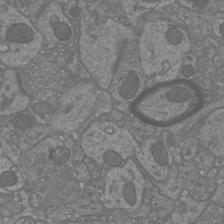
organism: Mouse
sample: Cortical neurons